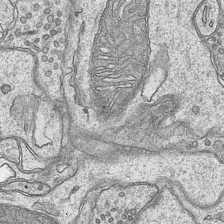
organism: Mouse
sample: CA1 Hippocampus